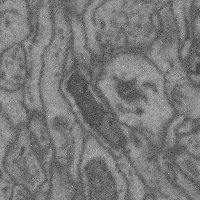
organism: Mouse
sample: Cerebral cortex